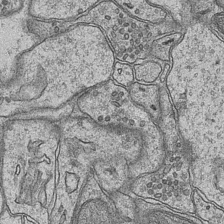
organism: Mouse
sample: CA1 Hippocampus